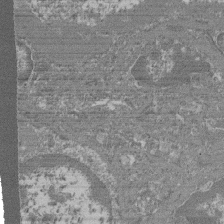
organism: Mouse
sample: Glomerulus